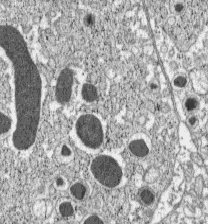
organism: C57BL Mouse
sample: Pancreatic islet